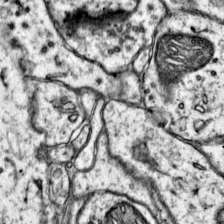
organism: Mouse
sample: Primary visual cortex